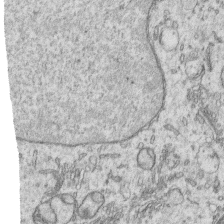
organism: Human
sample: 1205lu cells